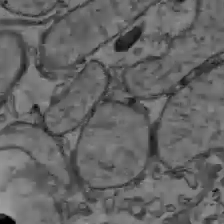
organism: C57BL Mouse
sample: Liver